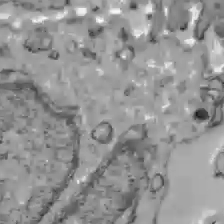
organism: C57BL Mouse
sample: Liver